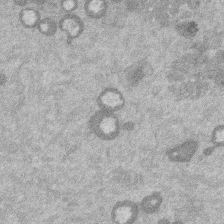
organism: Mouse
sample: Dividing mouse embryo 1 cell stage